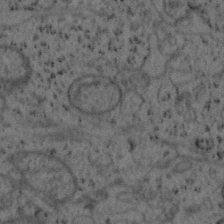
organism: Human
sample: HeLa cells